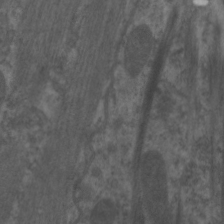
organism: C. elegans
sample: Pharynx